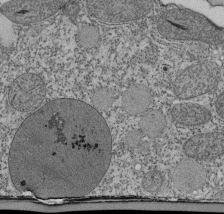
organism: Tetrahymena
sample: Cilia in tetrahymena